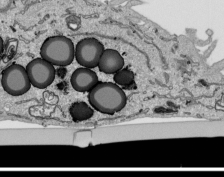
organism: Human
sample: Mitochondria in HCT116 cells